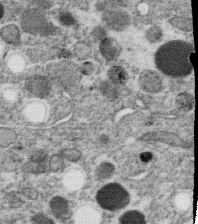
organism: C. elegans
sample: C. elegans oocyte; sperm cells